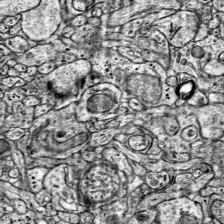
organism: Mouse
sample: Visual Cortex